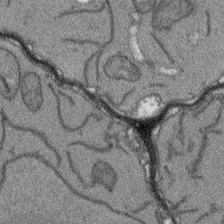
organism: Arabidopsis thaliana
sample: Root tip